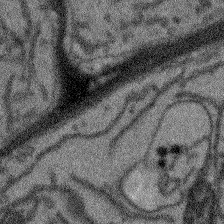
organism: Arabidopsis thaliana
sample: Root tip